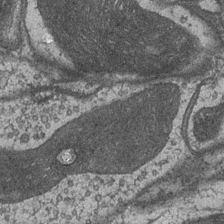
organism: Drosophila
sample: Optic medulla